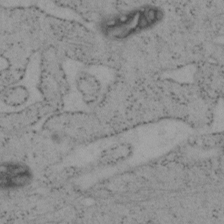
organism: Mouse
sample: OT-I killer T cells with ID8 ovarian cancer cells